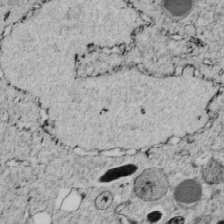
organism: C. elegans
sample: C. elegans embryo early stage